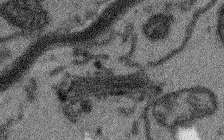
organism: Arabidopsis thaliana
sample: Root tip